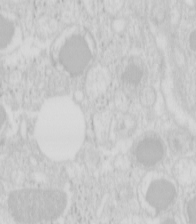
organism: Mouse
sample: Pancreas